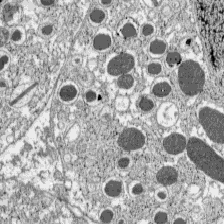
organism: C57BL Mouse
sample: Pancreatic islet